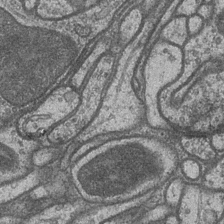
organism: Drosophila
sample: Optic medulla